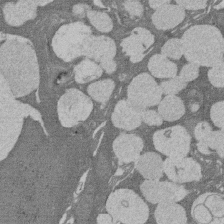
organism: Rat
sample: Salivary granule